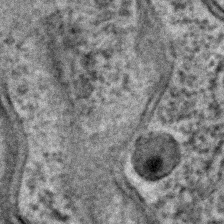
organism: C. elegans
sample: C. elegans embryo